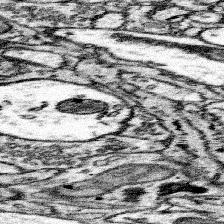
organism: Mouse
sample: Somatosensory cortex neuropil